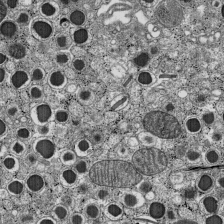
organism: C57BL Mouse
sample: Pancreatic islet